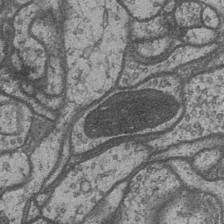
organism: Drosophila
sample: Optic medulla